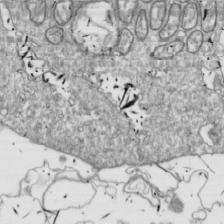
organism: Drosophila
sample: Cell division; meiosis; drosophila spermatocytes